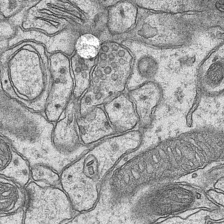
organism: Mouse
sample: CA1 Hippocampus